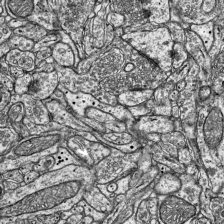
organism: Mouse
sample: Visual Cortex